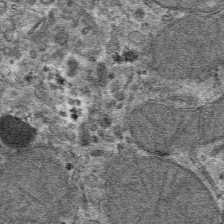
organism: Mouse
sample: Mouse hepatocytes